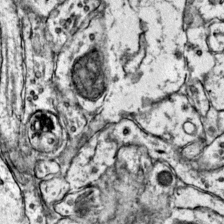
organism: Mouse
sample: Primary visual cortex